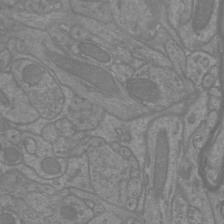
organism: Mouse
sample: Cortical neurons